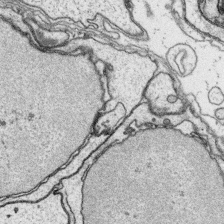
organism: Platynereis dumerilii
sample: Parapodia